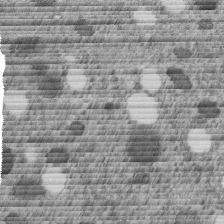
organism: C. elegans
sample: C. elegans embryo early stage